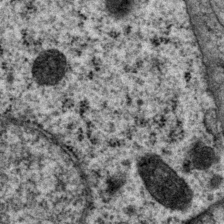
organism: P. pacificus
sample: Pharynx